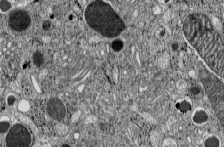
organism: C57BL Mouse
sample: Pancreatic islet